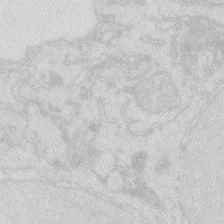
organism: Zebrafish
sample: Macrophage